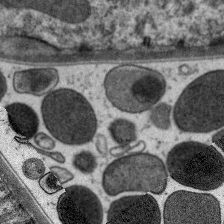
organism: C. elegans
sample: Pharynx